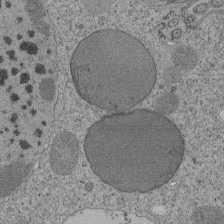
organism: Tetrahymena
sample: Cilia in tetrahymena